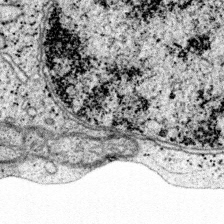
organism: Human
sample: HeLa cells